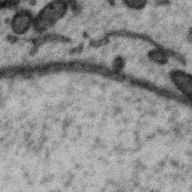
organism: Zebra finch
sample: Brain